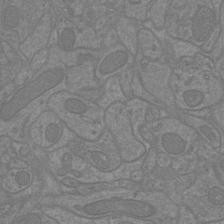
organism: Mouse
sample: Cortical neurons